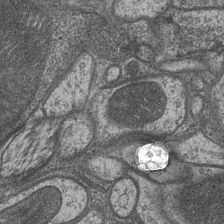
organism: Drosophila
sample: Optic medulla